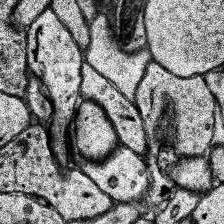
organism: Human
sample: Temporal Lobe